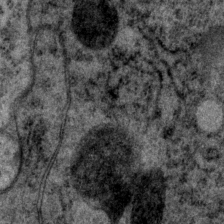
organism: P. pacificus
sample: Pharynx